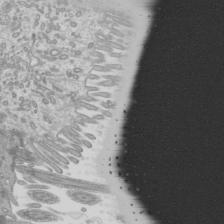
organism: Mouse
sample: Cilia; mouse epididymis